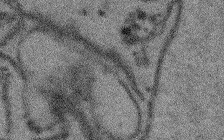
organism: Arabidopsis thaliana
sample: Root tip